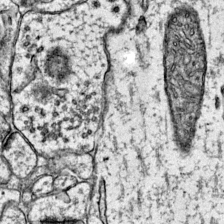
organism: Mouse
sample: Primary visual cortex